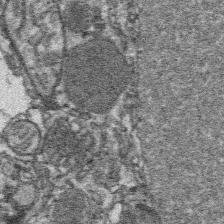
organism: Platynereis dumerilii